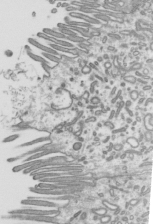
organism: Mouse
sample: Mouse epididymis efferent ductule cilia